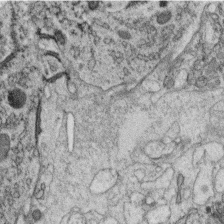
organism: C. elegans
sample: C. elegans oocyte; sperm cells